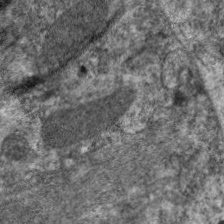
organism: C. elegans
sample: Pharynx